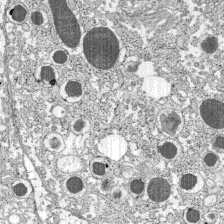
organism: C57BL Mouse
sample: Pancreatic islet